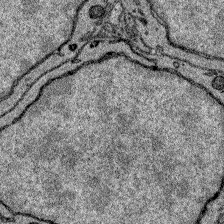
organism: Zebrafish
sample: Larval olfactory bulb